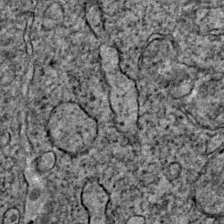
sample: Trachea